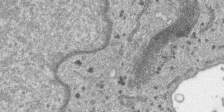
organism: Human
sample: Lung epithelial cells infected with SARS-CoV-2